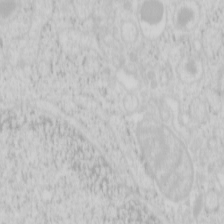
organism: Mouse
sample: Pancreas